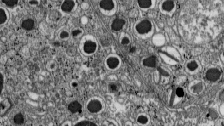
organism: C57BL Mouse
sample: Pancreatic islet